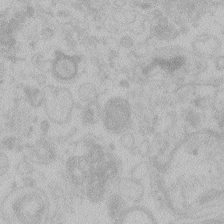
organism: Zebrafish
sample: Macrophage infected with Toxoplasma gondii